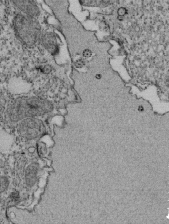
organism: Tetrahymena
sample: Cilia in tetrahymena